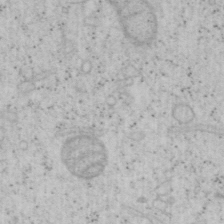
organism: Human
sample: HeLa cells